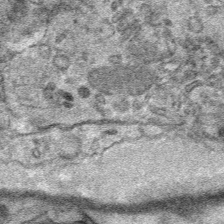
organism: Mouse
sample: Mouse Salivary gland